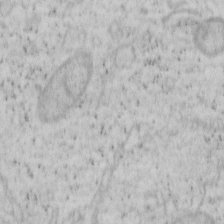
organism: Human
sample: HeLa cells